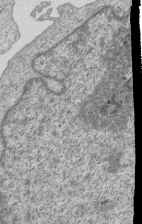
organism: Human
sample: MDA-MB-231 cells